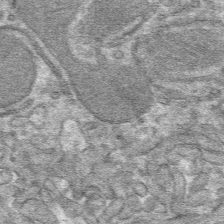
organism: Mouse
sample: Mouse hepatocytes